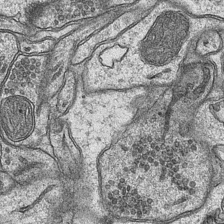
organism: Mouse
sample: CA1 Hippocampus